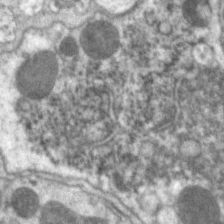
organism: C. elegans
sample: Pharynx